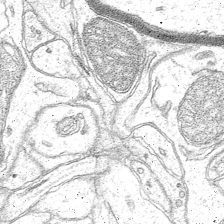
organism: Mouse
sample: CA1 Hippocampus